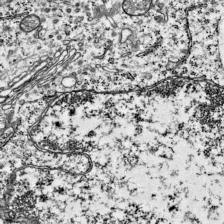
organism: Mouse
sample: Visual Cortex